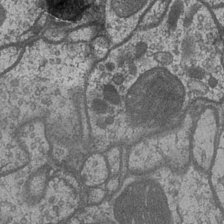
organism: Drosophila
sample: Optic medulla